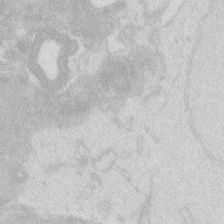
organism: Zebrafish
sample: Macrophage